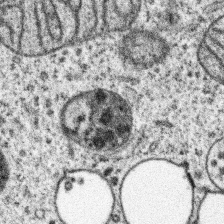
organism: Human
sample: HeLa cells